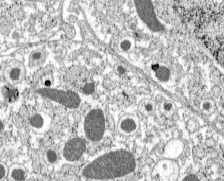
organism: C57BL Mouse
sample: Pancreatic islet